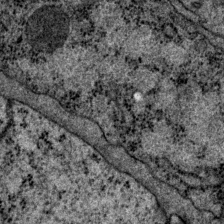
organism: P. pacificus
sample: Pharynx